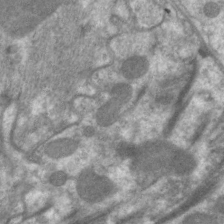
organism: C. elegans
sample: Pharynx